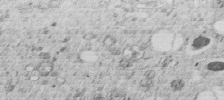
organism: C. elegans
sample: C. elegans embryo early stage